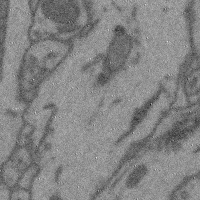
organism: Mouse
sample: Cerebral cortex